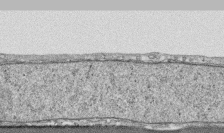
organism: Human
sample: CRL-1474